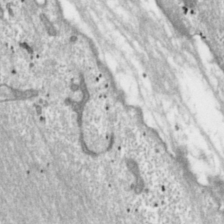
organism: Toxoplasma gondii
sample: Parasites in a vacuole inside a host cell